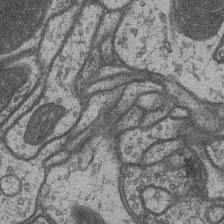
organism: Drosophila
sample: Optic medulla